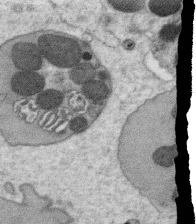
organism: C. elegans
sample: C. elegans oocyte; sperm cells